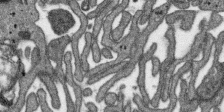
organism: Human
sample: Lung epithelial cells, uninfected (mock) control